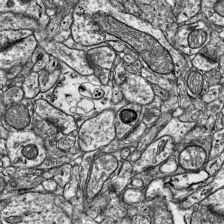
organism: Mouse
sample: Visual Cortex